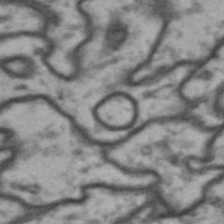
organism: Drosophila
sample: Brain